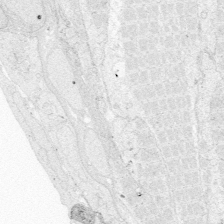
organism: Zebrafish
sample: Whole-Brain